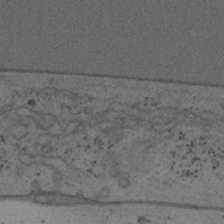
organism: Human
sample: HeLa cells